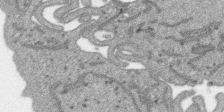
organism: Human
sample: Lung epithelial cells infected with SARS-CoV-2